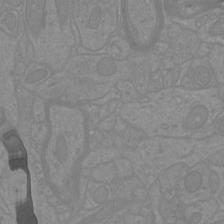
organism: Mouse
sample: Cortical neurons